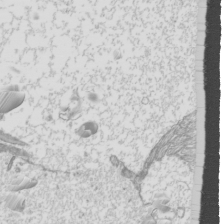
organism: Mouse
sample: Cilia; mouse epididymis